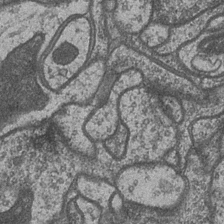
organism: Drosophila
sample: Optic medulla